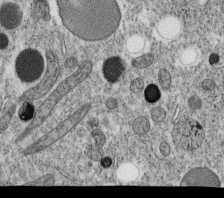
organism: C. elegans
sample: C. elegans oocyte; sperm cells